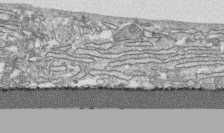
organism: Human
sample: CRL-1474